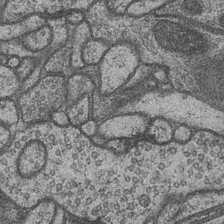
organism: Drosophila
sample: Optic medulla